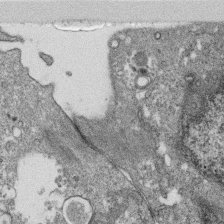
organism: African green monkey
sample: Vero E6 cells infected with SARS-CoV-2